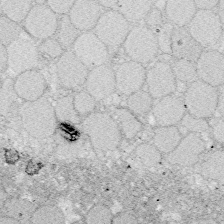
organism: Zebrafish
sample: Whole-Brain